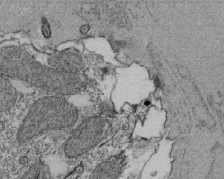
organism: Tetrahymena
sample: Cilia in tetrahymena